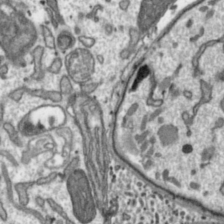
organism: Toxoplasma gondii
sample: Parasites in a vacuole inside a host cell